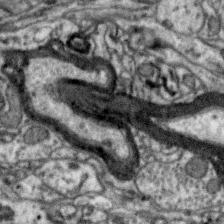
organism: Zebra finch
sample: Brain